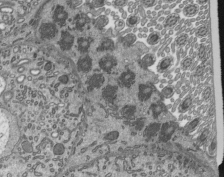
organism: Mouse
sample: Mouse epididymis efferent ductule cilia